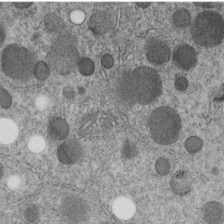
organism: C. elegans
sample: C. elegans embryo early stage